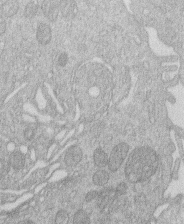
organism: Human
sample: Macrophage cells